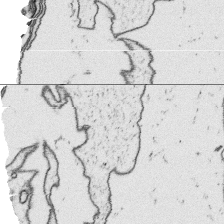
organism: Platynereis dumerilii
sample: Parapodia